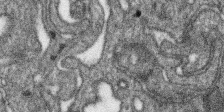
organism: Human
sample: Lung epithelial cells infected with SARS-CoV-2